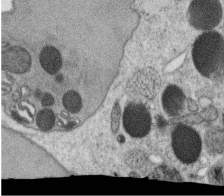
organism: C. elegans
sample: C. elegans oocyte; sperm cells